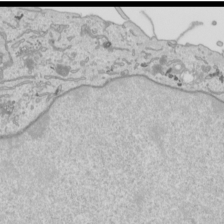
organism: Human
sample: Mitochondria in HCT116 cells